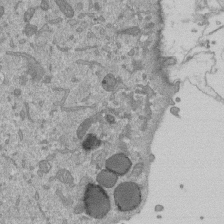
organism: Mouse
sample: ED-1 cell nuclei; centrioles